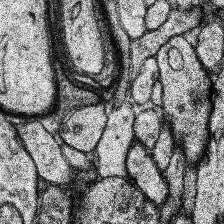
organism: Human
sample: Temporal Lobe